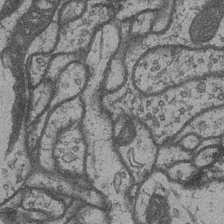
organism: Drosophila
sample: Optic medulla